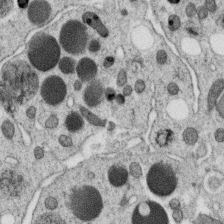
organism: C. elegans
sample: C. elegans oocyte; sperm cells